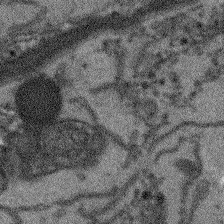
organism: Arabidopsis thaliana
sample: Root tip